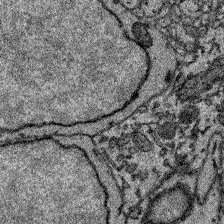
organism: Zebrafish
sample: Larval olfactory bulb